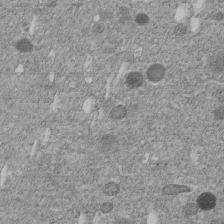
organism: C. elegans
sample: C. elegans embryo early stage